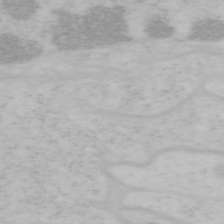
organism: Mouse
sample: OT-I killer T cells with ID8 ovarian cancer cells